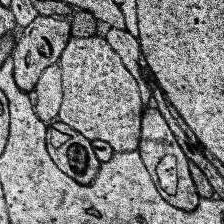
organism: Human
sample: Temporal Lobe